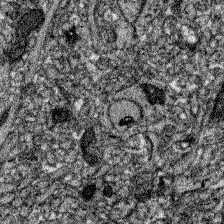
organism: Zebrafish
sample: Larval olfactory bulb